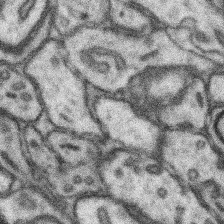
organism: Mouse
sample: Somatosensory cortex neuropil